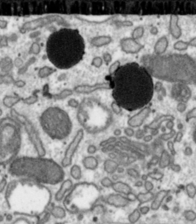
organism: Toxoplasma gondii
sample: Parasites in a vacuole inside a host cell